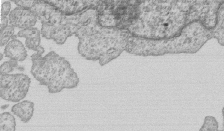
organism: Human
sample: MDA-MB-231 cells